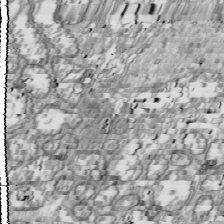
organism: Drosophila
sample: Cell division; meiosis; drosophila spermatocytes